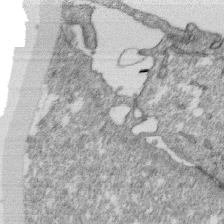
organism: African green monkey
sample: Vero E6 cells infected with SARS-CoV-2